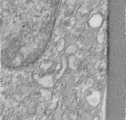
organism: Human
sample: Centriole in RPE cells